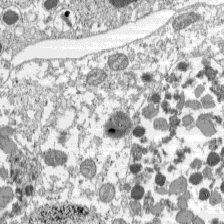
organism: C57BL Mouse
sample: Pancreatic islet